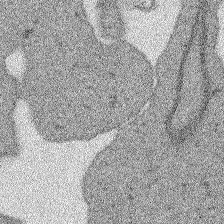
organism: Human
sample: HeLa cells